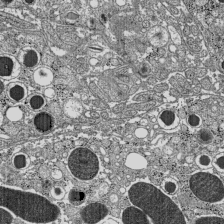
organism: C57BL Mouse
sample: Pancreatic islet